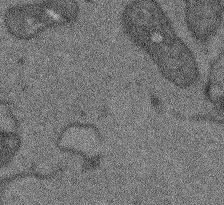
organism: Arabidopsis thaliana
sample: Root tip